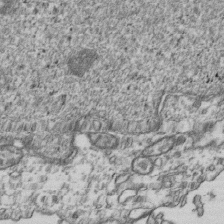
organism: Human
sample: Activated Jurkat CD4+ T cells